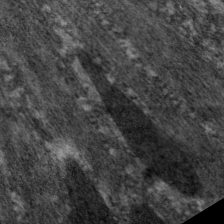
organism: C. elegans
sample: Pharynx